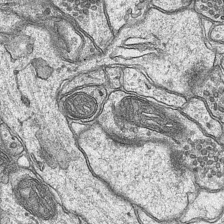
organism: Mouse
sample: CA1 Hippocampus